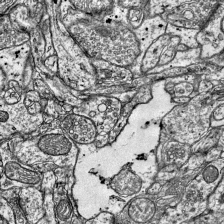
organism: Mouse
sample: Visual Cortex